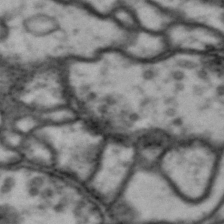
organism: Drosophila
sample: Brain